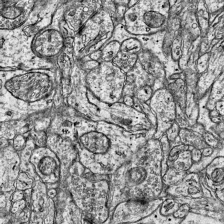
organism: Mouse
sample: Visual Cortex